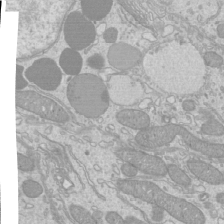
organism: Mouse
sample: Cilia; mouse epididymis